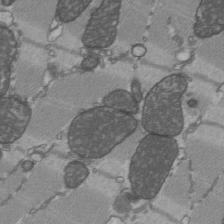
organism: C57BL Mouse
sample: Heart